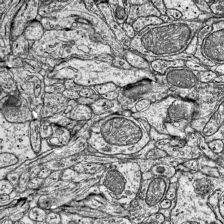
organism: Mouse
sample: Visual Cortex